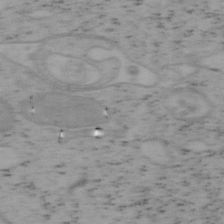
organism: Mouse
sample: OT-I killer T cells with ID8 ovarian cancer cells